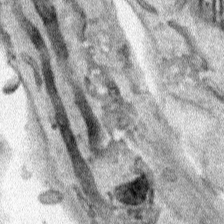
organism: Human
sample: Mitochondria in HCT116 cells